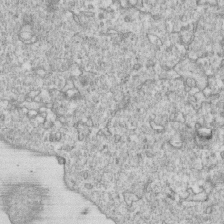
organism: Mouse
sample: Activated OT-1 CD8+ T cells